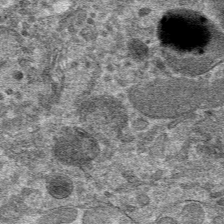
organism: Mouse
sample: Mouse hepatocytes